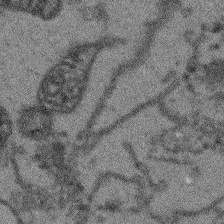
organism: Arabidopsis thaliana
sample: Root tip